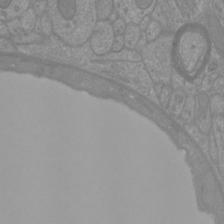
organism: Mouse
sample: Cortical neurons